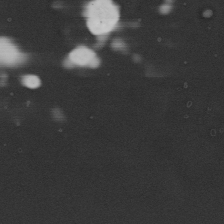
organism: Mouse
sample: Cilia; mouse epididymis